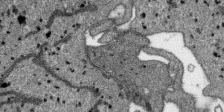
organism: Human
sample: Lung epithelial cells, uninfected (mock) control